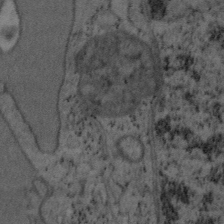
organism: Human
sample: HeLa cells